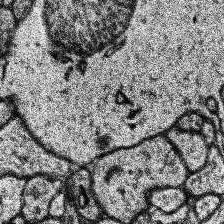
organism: Human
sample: Temporal Lobe